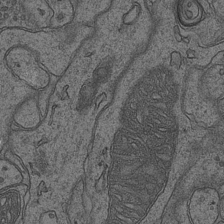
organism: Mouse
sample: CA1 Hippocampus